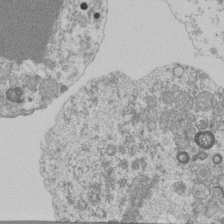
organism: Mouse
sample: Activated Pmel transgenic CD8+ T Cells